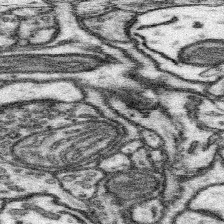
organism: Mouse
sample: Somatosensory cortex neuropil